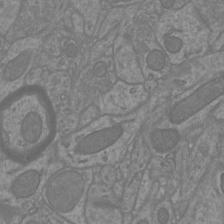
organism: Mouse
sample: Cortical neurons